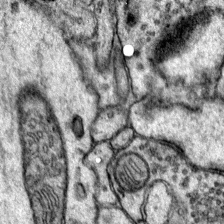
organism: Mouse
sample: Primary visual cortex